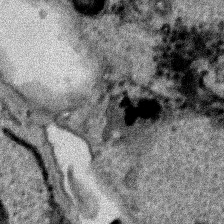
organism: Human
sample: Mitochondria in HCT116 cells